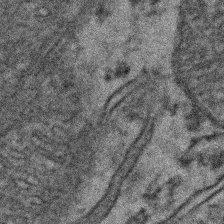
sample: Kidney